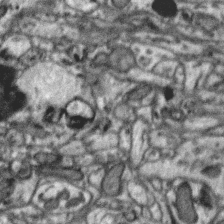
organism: Zebra finch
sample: Brain